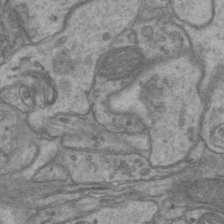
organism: Mouse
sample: CA1 Hippocampus